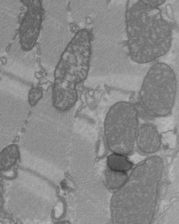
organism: C57BL Mouse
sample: Heart